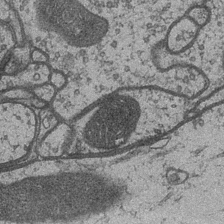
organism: Drosophila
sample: Optic medulla